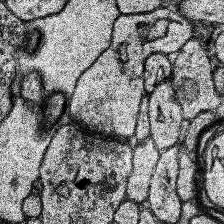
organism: Human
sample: Temporal Lobe